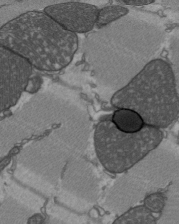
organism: C57BL Mouse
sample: Heart